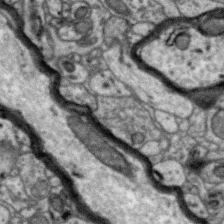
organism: Zebra finch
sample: Brain